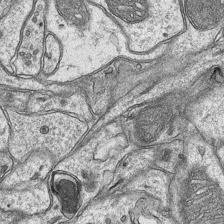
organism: Mouse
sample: CA1 Hippocampus